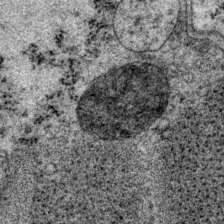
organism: P. pacificus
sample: Pharynx